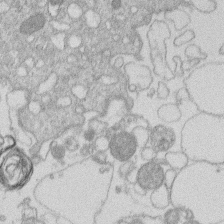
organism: Human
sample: Macrophage cells